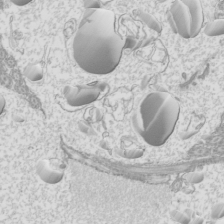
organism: Mouse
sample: Cilia; mouse epididymis